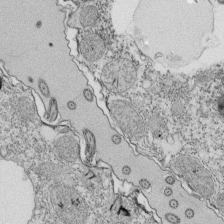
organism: Tetrahymena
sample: Cilia in tetrahymena